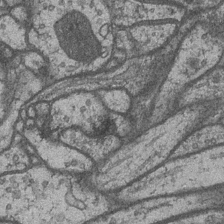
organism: Drosophila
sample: Optic medulla